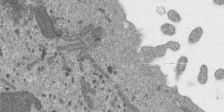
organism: Human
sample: Lung epithelial cells infected with SARS-CoV-2